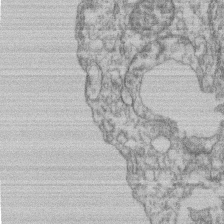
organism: Mouse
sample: T cell stromal cell synapse